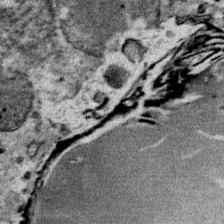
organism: Mouse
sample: Mouse Salivary gland